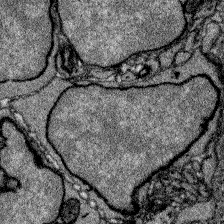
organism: Zebrafish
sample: Larval olfactory bulb